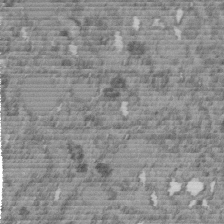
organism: C. elegans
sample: C. elegans embryo early stage